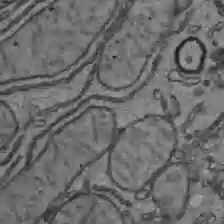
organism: C57BL Mouse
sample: Liver